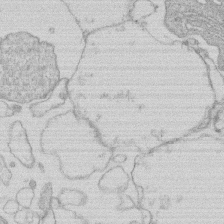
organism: Human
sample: Macrophage cells